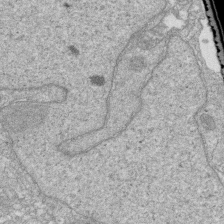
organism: Human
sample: HeLa cell HIV synapse